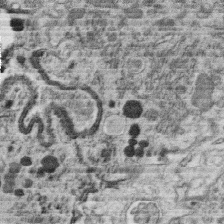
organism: C. elegans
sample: C. elegans oocyte; sperm cells